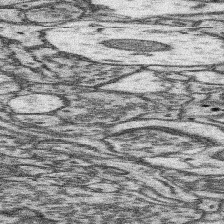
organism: Mouse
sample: Somatosensory cortex neuropil